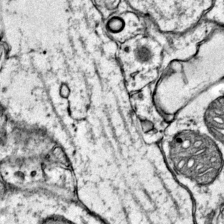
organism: Mouse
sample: Primary visual cortex